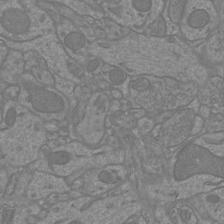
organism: Mouse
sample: Cortical neurons